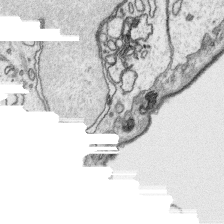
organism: Platynereis dumerilii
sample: Parapodia